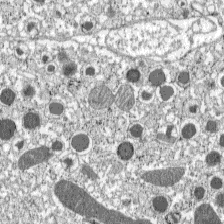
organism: C57BL Mouse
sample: Pancreatic islet